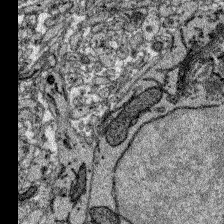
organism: Zebrafish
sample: Larval olfactory bulb